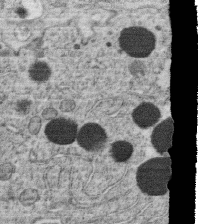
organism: C. elegans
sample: C. elegans oocyte; sperm cells